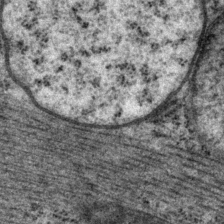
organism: P. pacificus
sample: Pharynx